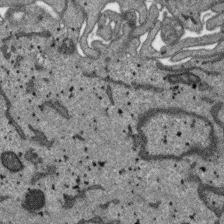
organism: Human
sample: Lung epithelial cells, uninfected (mock) control